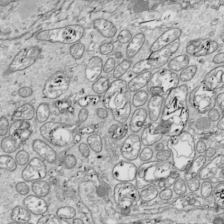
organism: Drosophila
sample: Cell division; meiosis; drosophila spermatocytes